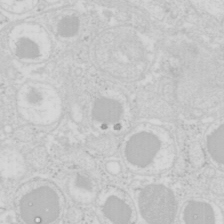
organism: Mouse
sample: Pancreas